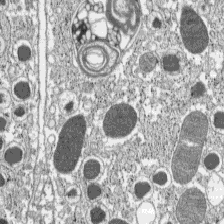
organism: C57BL Mouse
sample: Pancreatic islet